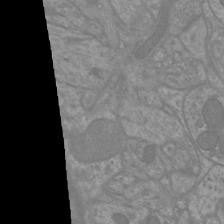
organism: Mouse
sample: Cortical neurons